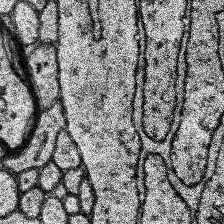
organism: Human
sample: Temporal Lobe